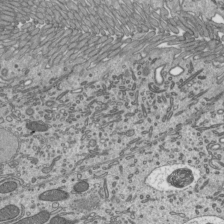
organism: Mouse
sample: Mouse epididymis efferent ductule cilia